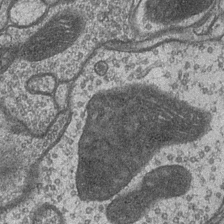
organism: Drosophila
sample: Optic medulla